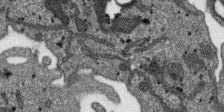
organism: Human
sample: Lung epithelial cells infected with SARS-CoV-2